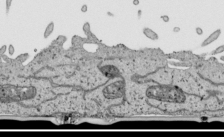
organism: Human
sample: Mitochondria in HCT116 cells